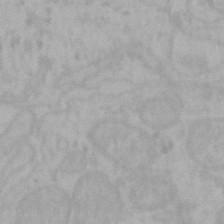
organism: Mouse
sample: Choroid plexus